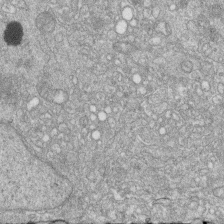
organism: Human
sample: HeLa cell HIV synapse